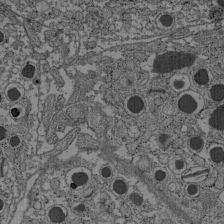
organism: C57BL Mouse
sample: Pancreatic islet